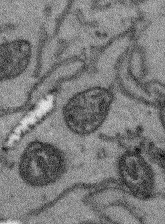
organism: Arabidopsis thaliana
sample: Root tip